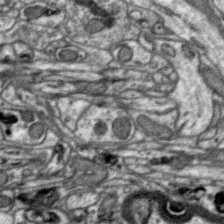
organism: Zebra finch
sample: Brain